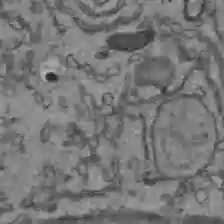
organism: C57BL Mouse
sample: Liver